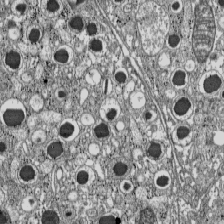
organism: C57BL Mouse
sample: Pancreatic islet